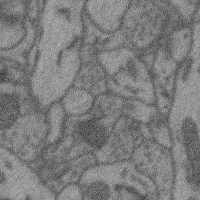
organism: Mouse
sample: Cerebral cortex